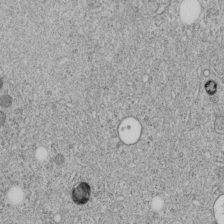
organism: C. elegans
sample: C. elegans embryo early stage